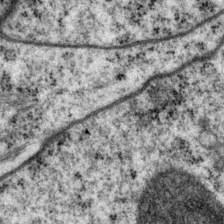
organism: P. pacificus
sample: Pharynx